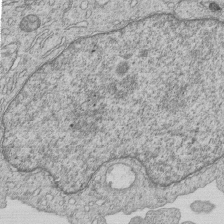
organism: Human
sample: MDA-MB-231 cells